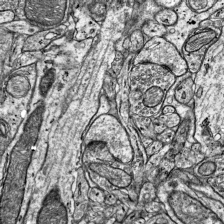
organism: Mouse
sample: Visual Cortex